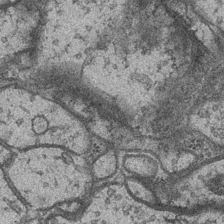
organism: Drosophila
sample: Optic medulla